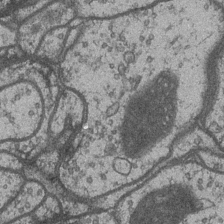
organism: Drosophila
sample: Optic medulla